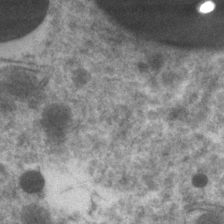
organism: Zebrafish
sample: Zebrafish embryo